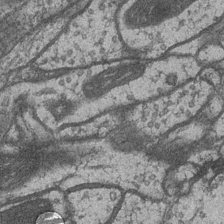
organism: Drosophila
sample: Optic medulla